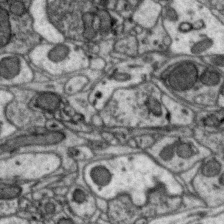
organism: Zebra finch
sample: Brain